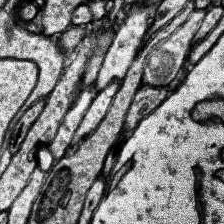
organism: Human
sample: Temporal Lobe